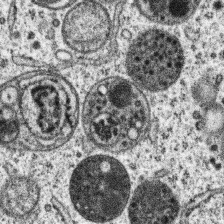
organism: Human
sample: HeLa cells